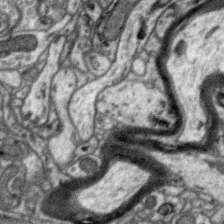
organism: Zebra finch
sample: Brain